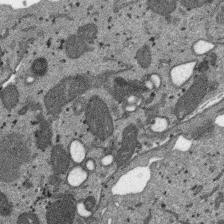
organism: Human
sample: Lung epithelial cells infected with SARS-CoV-2